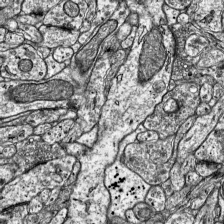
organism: Mouse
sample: Visual Cortex